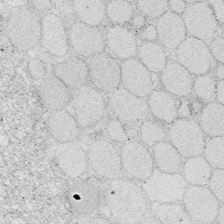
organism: Zebrafish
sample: Whole-Brain